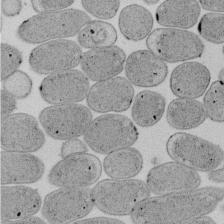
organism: E. coli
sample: Bacterial nucleoid